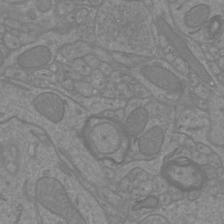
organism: Mouse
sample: Cortical neurons